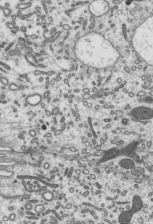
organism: Mouse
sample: Mouse epididymis efferent ductule cilia